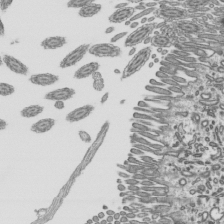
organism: Mouse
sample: Mouse epididymis efferent ductule cilia